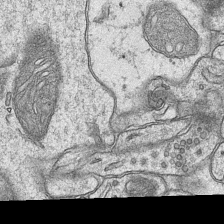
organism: Mouse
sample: CA1 Hippocampus